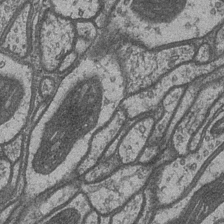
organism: Drosophila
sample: Optic medulla